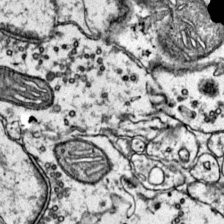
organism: Mouse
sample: Primary visual cortex